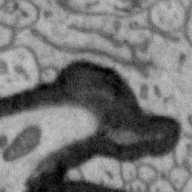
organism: Zebra finch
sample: Brain